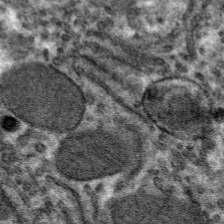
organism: Mouse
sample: Mouse hepatocytes